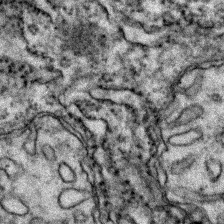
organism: Zebrafish